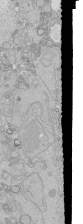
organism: Human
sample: Caco-2 cells